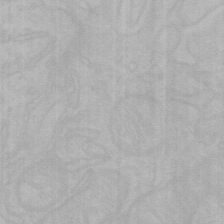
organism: Mouse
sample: Choroid plexus